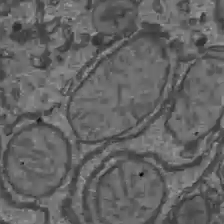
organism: C57BL Mouse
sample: Liver